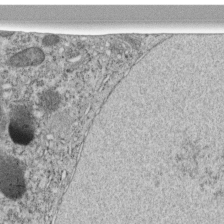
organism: C. elegans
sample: C. elegans embryo early stage